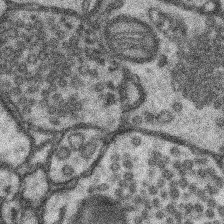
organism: Mouse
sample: Somatosensory cortex neuropil